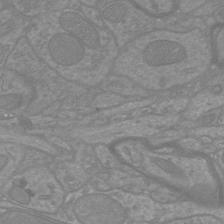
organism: Mouse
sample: Cortical neurons